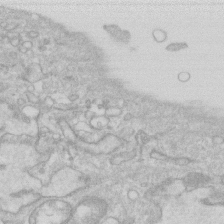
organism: Human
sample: Fibroblast cells